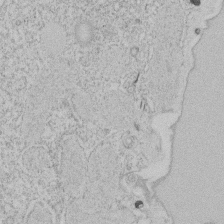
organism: Tetrahymena